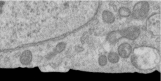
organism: Human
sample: Centriole in RPE cells